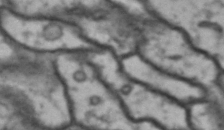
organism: Drosophila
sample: Brain